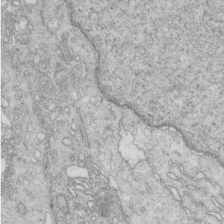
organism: Mouse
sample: Multiciliated cells